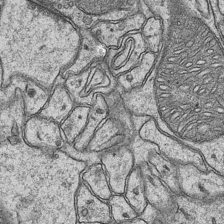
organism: Mouse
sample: CA1 Hippocampus